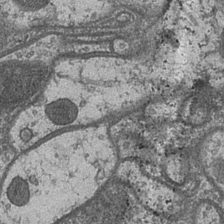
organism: Drosophila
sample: Optic medulla